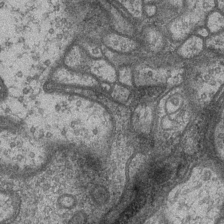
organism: Drosophila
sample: Optic medulla